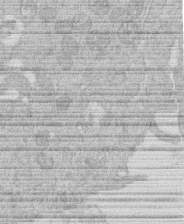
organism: Human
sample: Macrophage cells